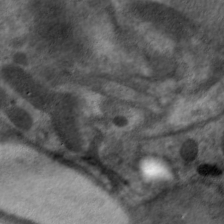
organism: C. elegans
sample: Pharynx